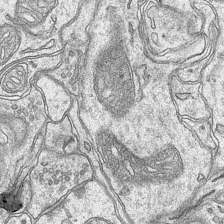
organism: Mouse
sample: CA1 Hippocampus